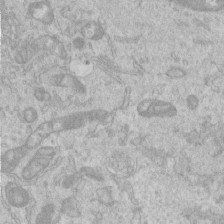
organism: Human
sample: Centriole in RPE cells